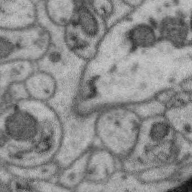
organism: Zebra finch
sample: Brain